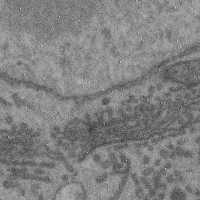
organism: Mouse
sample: Cerebral cortex